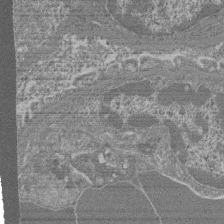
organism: Mouse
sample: Glomerulus